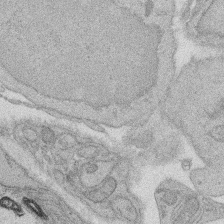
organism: Rat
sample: Salivary granule